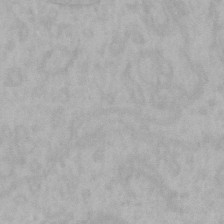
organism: Mouse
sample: Choroid plexus